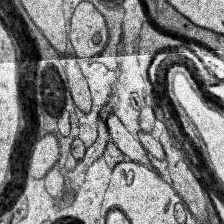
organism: Human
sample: Temporal Lobe